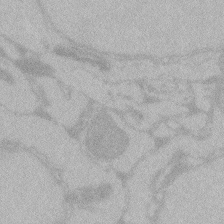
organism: Zebrafish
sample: Macrophage infected with Toxoplasma gondii